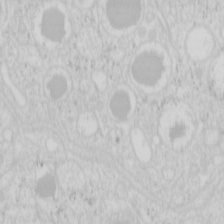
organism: Mouse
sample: Pancreas